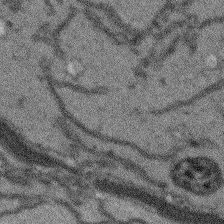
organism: Arabidopsis thaliana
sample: Root tip